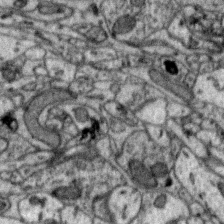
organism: Zebra finch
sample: Brain